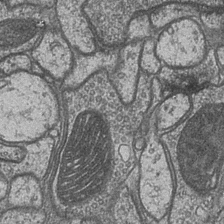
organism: Drosophila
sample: Optic medulla